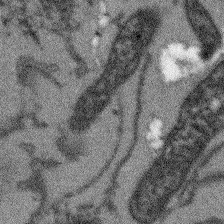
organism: Arabidopsis thaliana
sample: Root tip